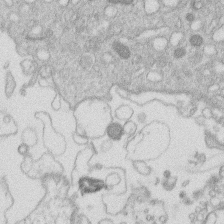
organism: Human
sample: Macrophage cells